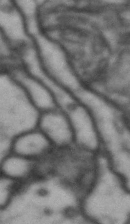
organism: Drosophila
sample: Brain